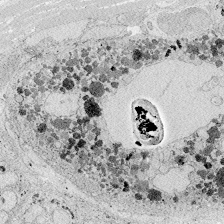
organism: Zebrafish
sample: Whole-Brain